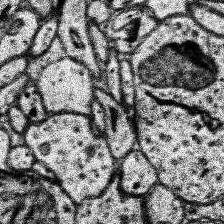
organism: Human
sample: Temporal Lobe